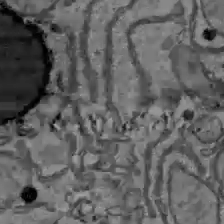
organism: C57BL Mouse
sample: Liver